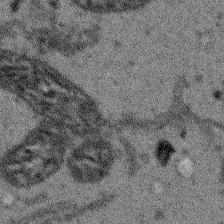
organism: Arabidopsis thaliana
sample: Root tip